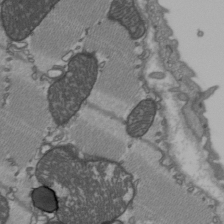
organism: C57BL Mouse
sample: Heart